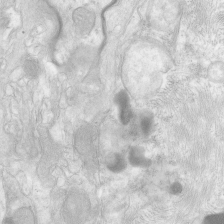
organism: Human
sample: Neocortex